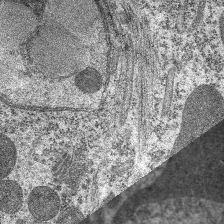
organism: C. elegans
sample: Pharynx